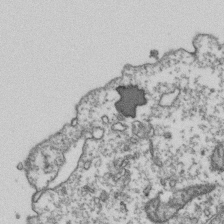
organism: Human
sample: Activated Jurkat CD4+ T cells